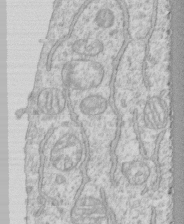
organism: Human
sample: CRL-1474